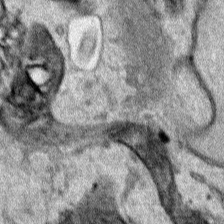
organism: Human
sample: Mitochondria in HCT116 cells